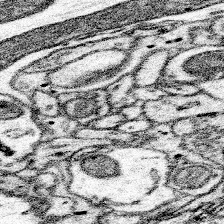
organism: Mouse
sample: Somatosensory cortex neuropil